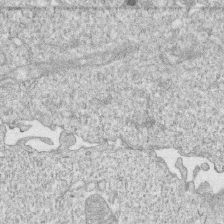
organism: Human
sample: HeLa cell HIV synapse